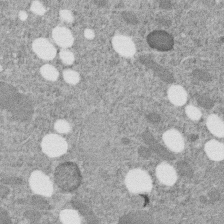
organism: C. elegans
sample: C. elegans embryo early stage